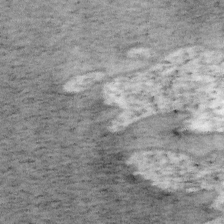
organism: Mouse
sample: OT-I killer T cells with ID8 ovarian cancer cells